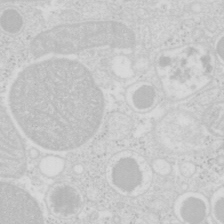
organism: Mouse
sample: Pancreas